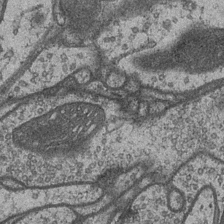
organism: Drosophila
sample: Optic medulla